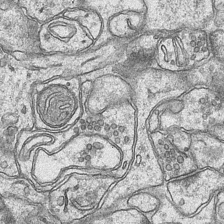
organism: Mouse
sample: CA1 Hippocampus